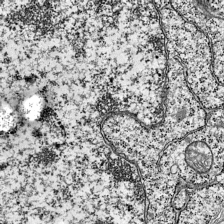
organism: Mouse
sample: Visual Cortex